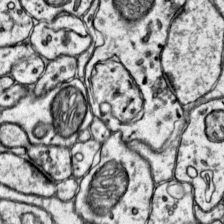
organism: Mouse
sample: Primary visual cortex